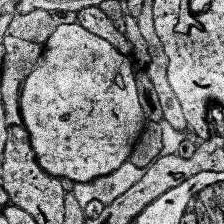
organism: Human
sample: Temporal Lobe